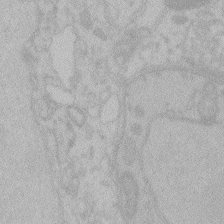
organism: Zebrafish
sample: Macrophage infected with Toxoplasma gondii